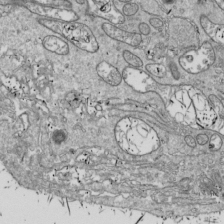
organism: Drosophila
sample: Cell division; meiosis; drosophila spermatocytes